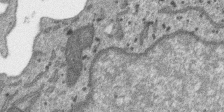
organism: Human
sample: Lung epithelial cells infected with SARS-CoV-2